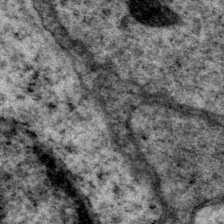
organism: P. pacificus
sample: Pharynx